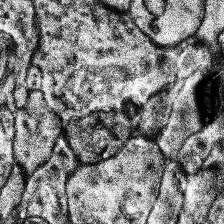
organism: Human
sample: Temporal Lobe